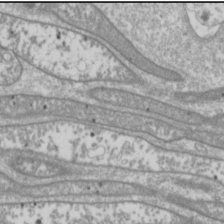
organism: Drosophila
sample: Cell division; meiosis; drosophila spermatocytes